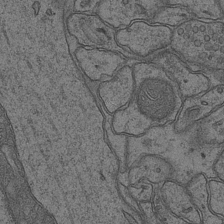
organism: Mouse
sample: CA1 Hippocampus